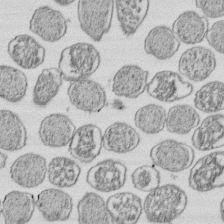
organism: E. coli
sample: Bacterial nucleoid